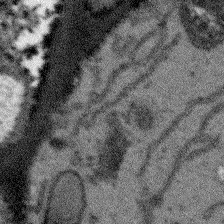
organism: Arabidopsis thaliana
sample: Root tip